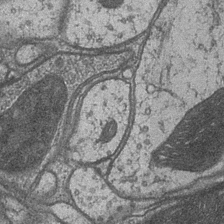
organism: Drosophila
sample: Optic medulla